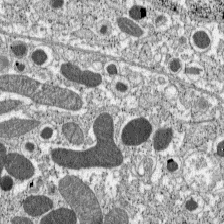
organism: C57BL Mouse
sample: Pancreatic islet